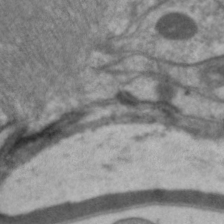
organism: C. elegans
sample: Pharynx